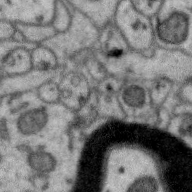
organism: Zebra finch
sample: Brain